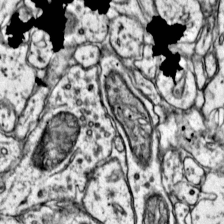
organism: Mouse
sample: Primary visual cortex